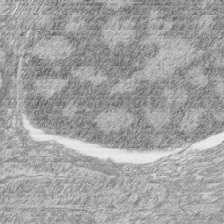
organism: Zebrafish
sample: synaptic ribbons in rod cells and cone cells